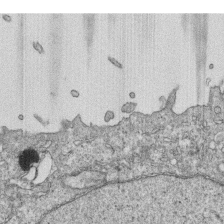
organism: Human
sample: HeLa cell HIV synapse